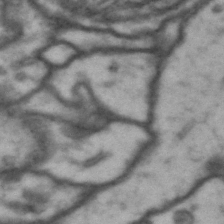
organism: Drosophila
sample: Brain